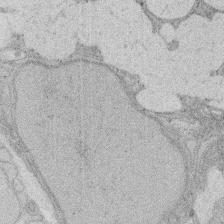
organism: Rat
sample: Salivary granule